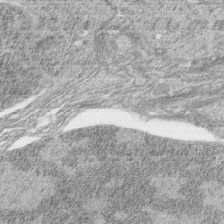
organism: Zebrafish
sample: synaptic ribbons in rod cells and cone cells